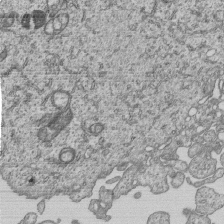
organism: Human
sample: MDA-MB-231 cells